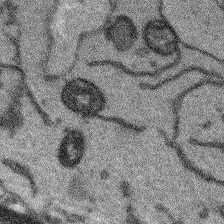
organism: Arabidopsis thaliana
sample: Root tip